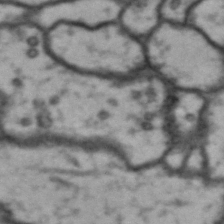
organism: Drosophila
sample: Brain